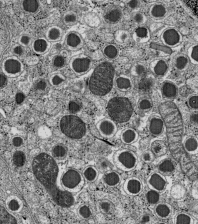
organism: C57BL Mouse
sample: Pancreatic islet